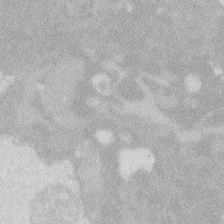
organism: Zebrafish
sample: Macrophage